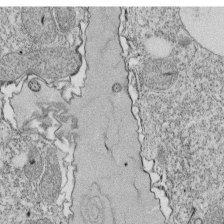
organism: Tetrahymena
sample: Cilia in tetrahymena